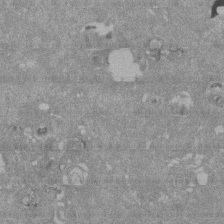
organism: Mouse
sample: ED-1 cell nuclei; centrioles